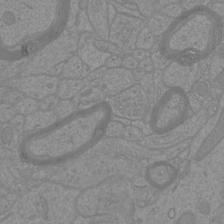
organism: Mouse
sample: Cortical neurons